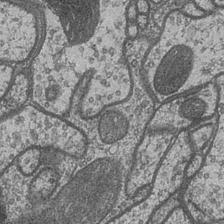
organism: Drosophila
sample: Optic medulla